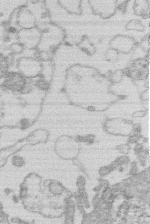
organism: Human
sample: Macrophage cells